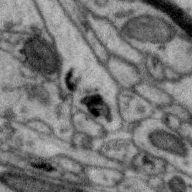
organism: Zebra finch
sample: Brain